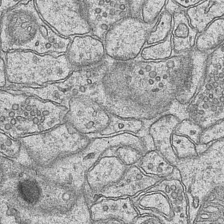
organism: Mouse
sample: CA1 Hippocampus